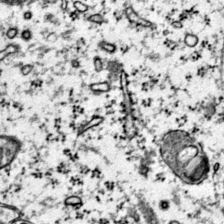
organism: Mouse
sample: Primary visual cortex